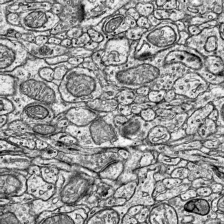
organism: Mouse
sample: Visual Cortex